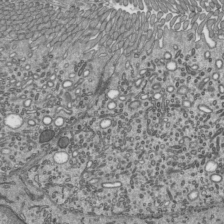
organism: Mouse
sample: Mouse epididymis efferent ductule cilia